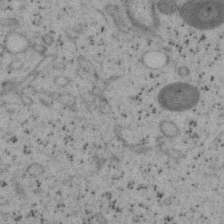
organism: Human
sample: HeLa cells